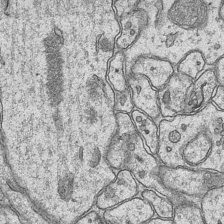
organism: Mouse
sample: CA1 Hippocampus